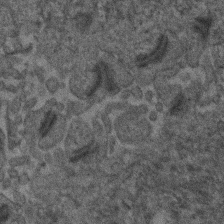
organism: Human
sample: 1205lu cells